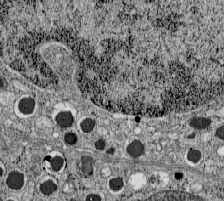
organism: C57BL Mouse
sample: Pancreatic islet